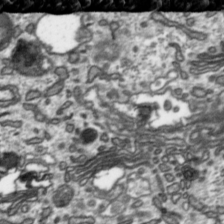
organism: Toxoplasma gondii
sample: Parasites in a vacuole inside a host cell